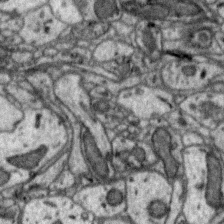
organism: Zebra finch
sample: Brain